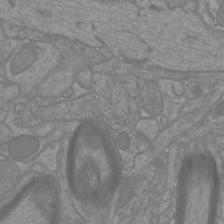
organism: Mouse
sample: Cortical neurons